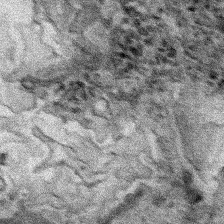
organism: Human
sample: Mitochondria in HCT116 cells